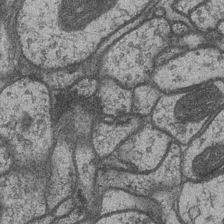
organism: Drosophila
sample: Optic medulla